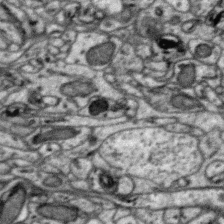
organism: Zebra finch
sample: Brain